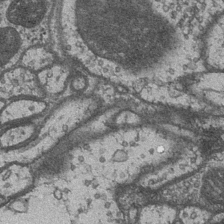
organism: Drosophila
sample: Optic medulla